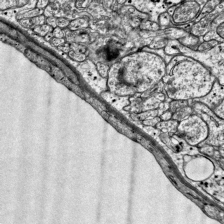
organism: Mouse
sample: Visual Cortex